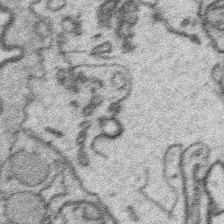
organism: Platynereis dumerilii